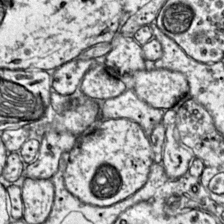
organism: Mouse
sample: Primary visual cortex